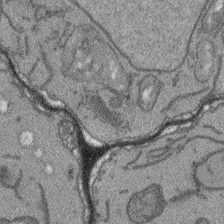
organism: Arabidopsis thaliana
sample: Root tip